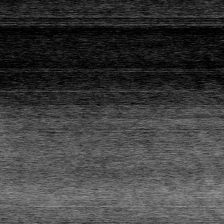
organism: Human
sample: HeLa cells